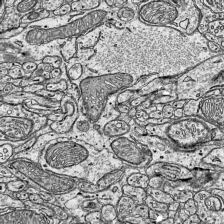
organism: Mouse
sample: Visual Cortex